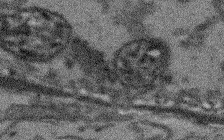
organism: Arabidopsis thaliana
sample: Root tip